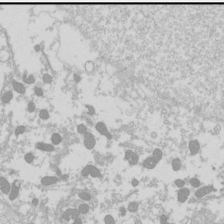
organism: Drosophila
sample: Cell division; meiosis; drosophila spermatocytes